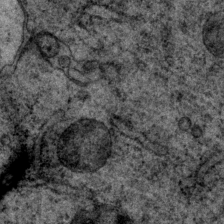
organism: P. pacificus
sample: Pharynx